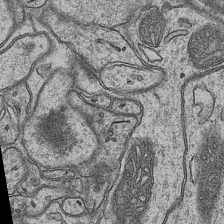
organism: Mouse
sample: CA1 Hippocampus